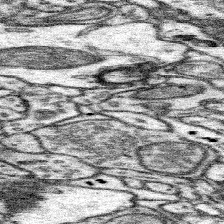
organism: Mouse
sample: Somatosensory cortex neuropil